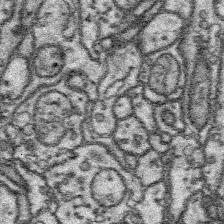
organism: Platynereis dumerilii